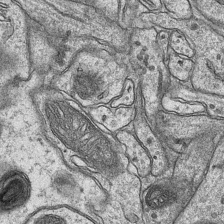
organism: Mouse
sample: CA1 Hippocampus